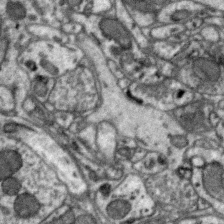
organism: Zebra finch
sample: Brain